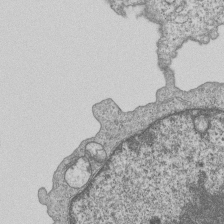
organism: Human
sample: MDA-MB-231 cells